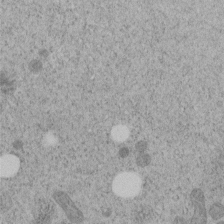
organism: C. elegans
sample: C. elegans embryo early stage